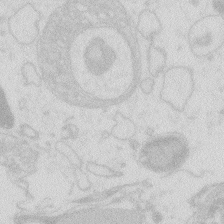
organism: Zebrafish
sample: Macrophage